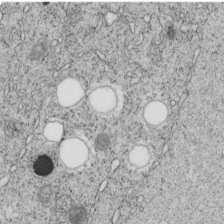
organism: C. elegans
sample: C. elegans embryo early stage